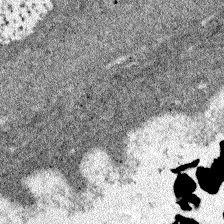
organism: Zebrafish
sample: Larval olfactory bulb